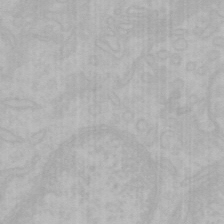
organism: Mouse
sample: Choroid plexus